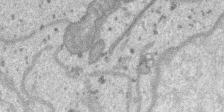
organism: Human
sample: Lung epithelial cells infected with SARS-CoV-2